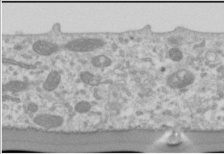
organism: Human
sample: Cilia; basal body in RPE cells